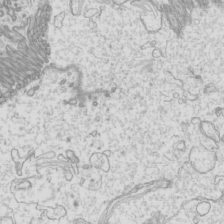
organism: Mouse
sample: Cilia; mouse epididymis